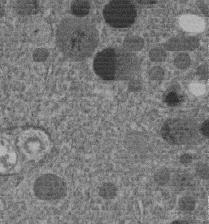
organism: C. elegans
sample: C. elegans embryo early stage